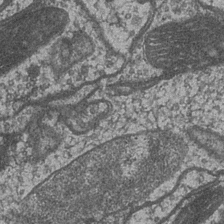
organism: Drosophila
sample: Optic medulla